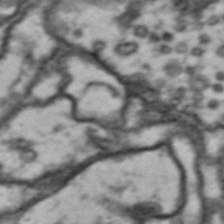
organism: Drosophila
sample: Brain